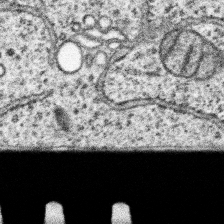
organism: Human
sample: HeLa cells